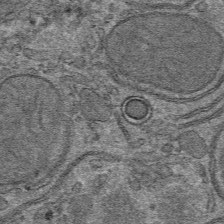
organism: Mouse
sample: Mouse hepatocytes